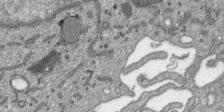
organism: Human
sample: Lung epithelial cells infected with SARS-CoV-2